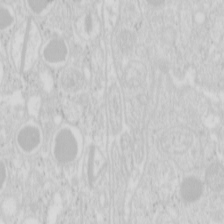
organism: Mouse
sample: Pancreas